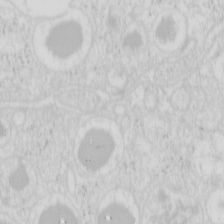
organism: Mouse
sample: Pancreas